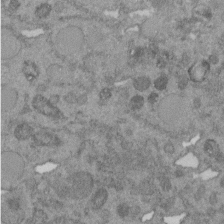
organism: C. elegans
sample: C. elegans embryo early stage